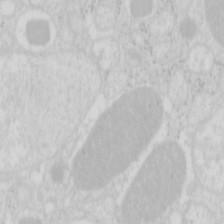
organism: Mouse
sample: Pancreas